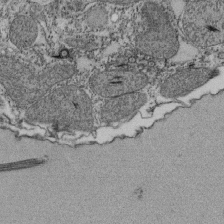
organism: Tetrahymena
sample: Cilia in tetrahymena